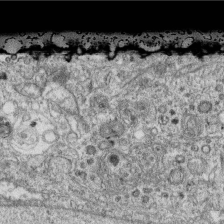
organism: Human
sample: HeLa cell HIV synapse